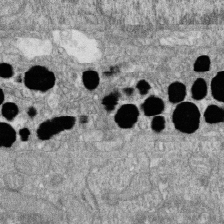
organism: Zebrafish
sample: Cilia; retinal pigment epithelium